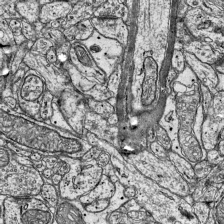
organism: Mouse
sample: Visual Cortex